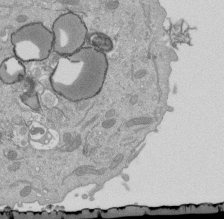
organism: Mouse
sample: ED-1 cell nuclei; centrioles